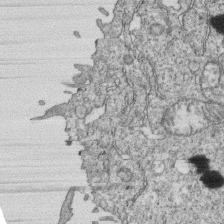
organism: Human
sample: HeLa cell HIV synapse